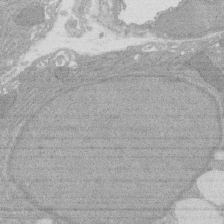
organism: Rat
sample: Salivary granule